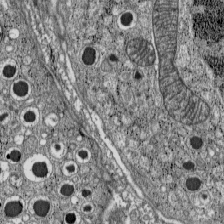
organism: C57BL Mouse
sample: Pancreatic islet